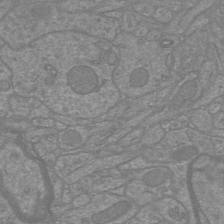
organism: Mouse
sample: Cortical neurons